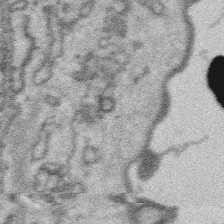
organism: Platynereis dumerilii